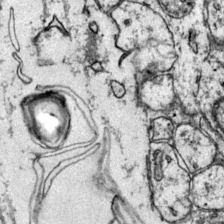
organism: Mouse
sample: Primary visual cortex